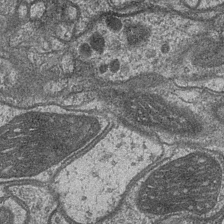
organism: Drosophila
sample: Optic medulla